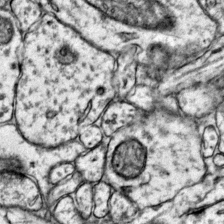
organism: Mouse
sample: Primary visual cortex